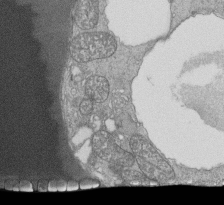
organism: Tetrahymena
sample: Cilia in tetrahymena